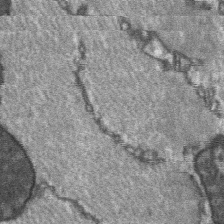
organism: C57BL Mouse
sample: Soleus